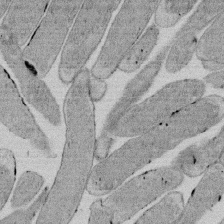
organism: E. coli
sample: Bacterial nucleoid